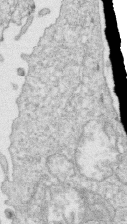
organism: Human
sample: HeLa cell HIV synapse